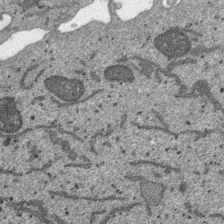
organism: Human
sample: Lung epithelial cells infected with SARS-CoV-2